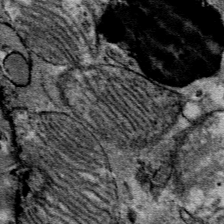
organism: Mouse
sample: Mouse Salivary gland